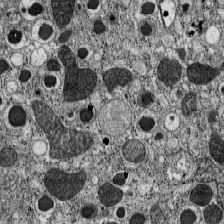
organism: C57BL Mouse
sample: Pancreatic islet